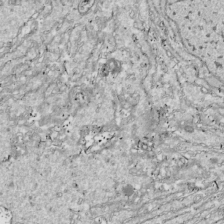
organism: Drosophila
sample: Cell division; meiosis; drosophila spermatocytes